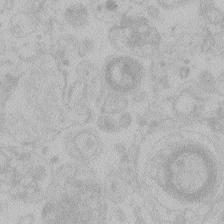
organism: Zebrafish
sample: Macrophage infected with Toxoplasma gondii